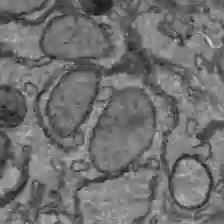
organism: C57BL Mouse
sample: Liver